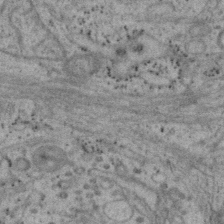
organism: Human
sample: HeLa cells